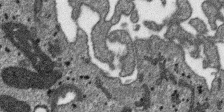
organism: Human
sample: Lung epithelial cells infected with SARS-CoV-2